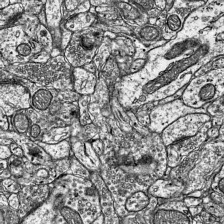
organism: Mouse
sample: Visual Cortex